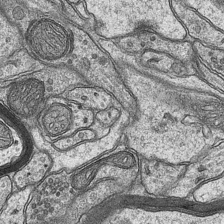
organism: Mouse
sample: CA1 Hippocampus